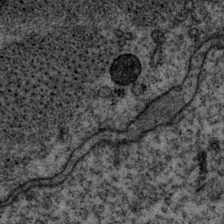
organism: P. pacificus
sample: Pharynx